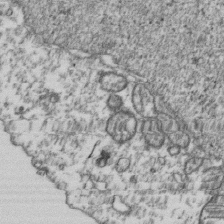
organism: Human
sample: Activated Jurkat CD4+ T cells